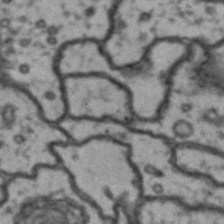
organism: Drosophila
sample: Brain